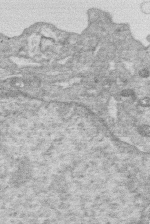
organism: Human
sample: Macrophage cells